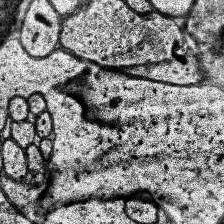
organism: Human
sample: Temporal Lobe